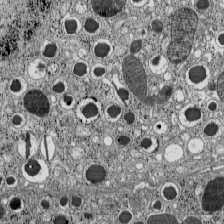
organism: C57BL Mouse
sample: Pancreatic islet